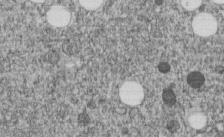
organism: C. elegans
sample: C. elegans embryo early stage